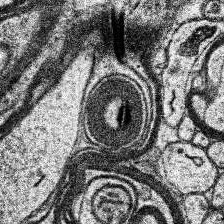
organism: Human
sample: Temporal Lobe